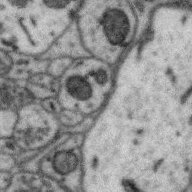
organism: Zebra finch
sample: Brain